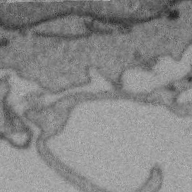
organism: Zebra finch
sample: Brain